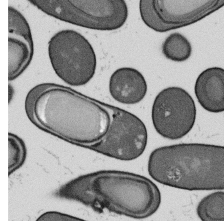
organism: B. subtilis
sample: Bacterial spore